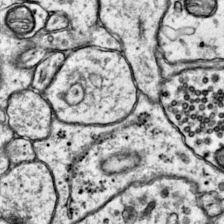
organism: Mouse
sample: Primary visual cortex